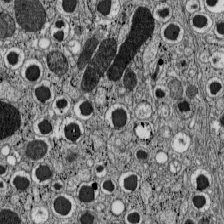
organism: C57BL Mouse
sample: Pancreatic islet